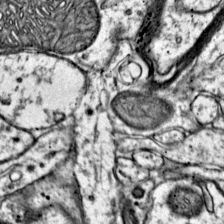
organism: Mouse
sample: Primary visual cortex